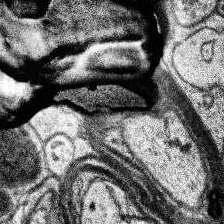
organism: Human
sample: Temporal Lobe